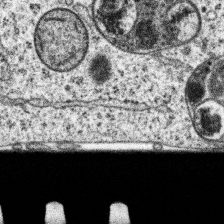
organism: Human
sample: HeLa cells